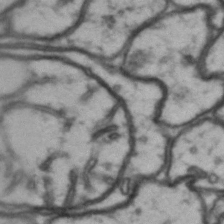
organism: Drosophila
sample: Brain